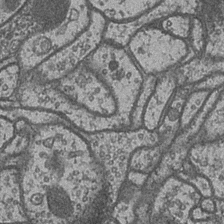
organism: Drosophila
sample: Optic medulla